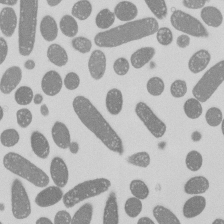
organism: E. coli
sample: Bacterial nucleoid